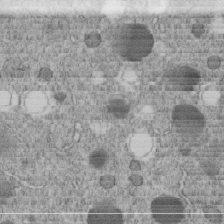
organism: C. elegans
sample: C. elegans embryo early stage